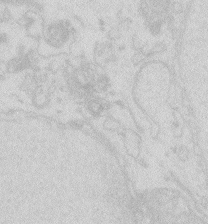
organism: Zebrafish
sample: Macrophage